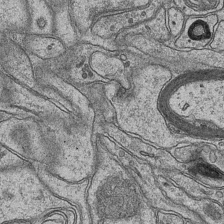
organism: Mouse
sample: CA1 Hippocampus